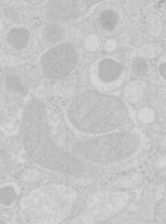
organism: Mouse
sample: Pancreas